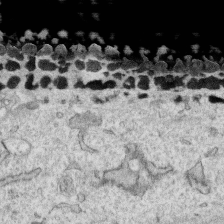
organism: Human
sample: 1205lu cells